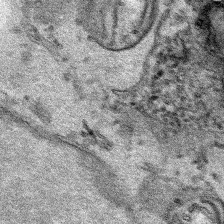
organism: Human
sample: Mitochondria in HCT116 cells